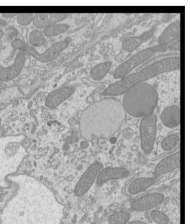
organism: Mouse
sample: Cilia; mouse epididymis